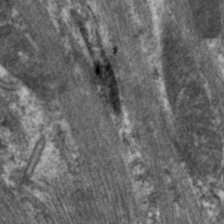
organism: C. elegans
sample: Pharynx